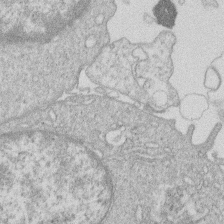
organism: Human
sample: Macrophage cells